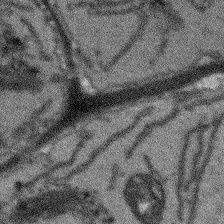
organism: Arabidopsis thaliana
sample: Root tip